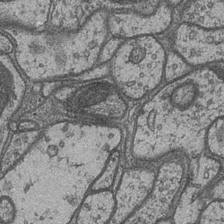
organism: Drosophila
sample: Optic medulla